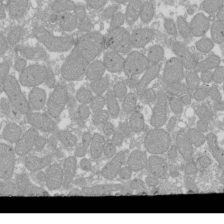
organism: Xenopus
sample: Cilia; centrioles in frog embryo cells